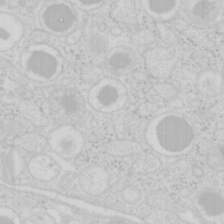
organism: Mouse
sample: Pancreas